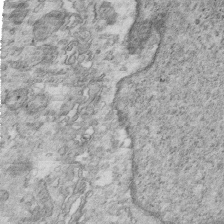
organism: Mouse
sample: Multiciliated cells